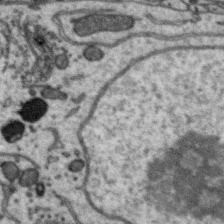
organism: Zebra finch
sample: Brain